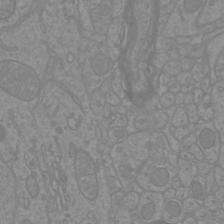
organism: Mouse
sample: Cortical neurons